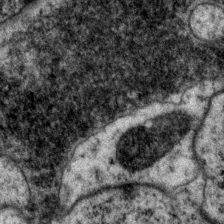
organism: P. pacificus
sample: Pharynx